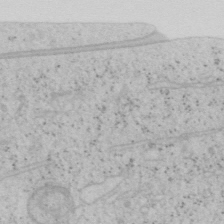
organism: Human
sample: HeLa cells